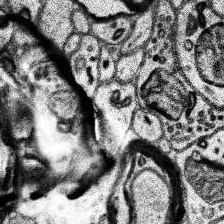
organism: Human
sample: Temporal Lobe